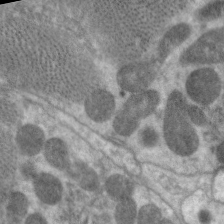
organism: C. elegans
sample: Pharynx